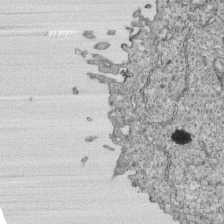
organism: Human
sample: HeLa cell HIV synapse